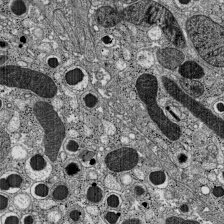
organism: C57BL Mouse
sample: Pancreatic islet